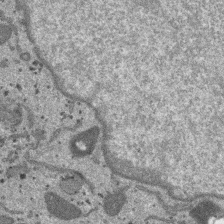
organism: Human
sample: Lung epithelial cells infected with SARS-CoV-2